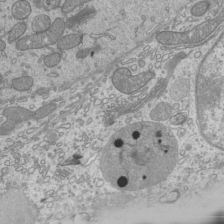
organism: Mouse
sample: Cilia; mouse epididymis